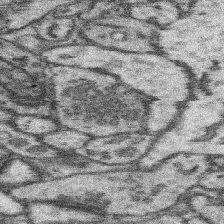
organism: Mouse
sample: Somatosensory cortex neuropil